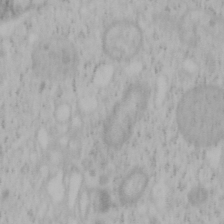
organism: Mouse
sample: OT-I killer T cells with ID8 ovarian cancer cells